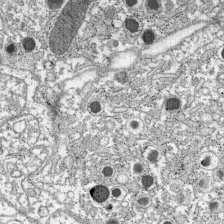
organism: C57BL Mouse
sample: Pancreatic islet